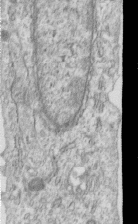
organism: Human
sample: Centriole in RPE cells